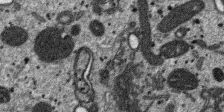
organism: Human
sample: Lung epithelial cells infected with SARS-CoV-2